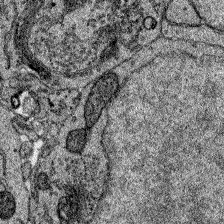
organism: Zebrafish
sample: Larval olfactory bulb